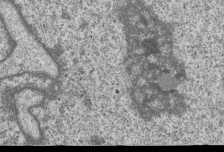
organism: Human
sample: MDA-MB-231 cells